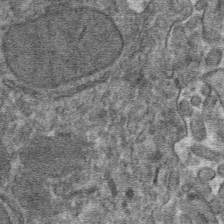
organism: Mouse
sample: Mouse hepatocytes